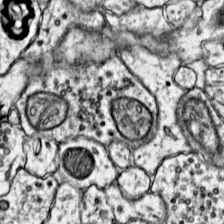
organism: Mouse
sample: Primary visual cortex